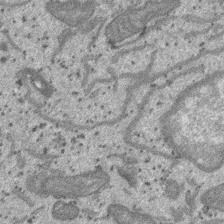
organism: Human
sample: Lung epithelial cells infected with SARS-CoV-2